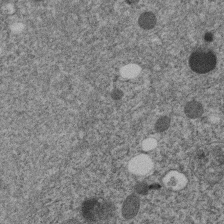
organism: C. elegans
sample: C. elegans embryo early stage